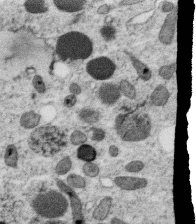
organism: C. elegans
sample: C. elegans oocyte; sperm cells